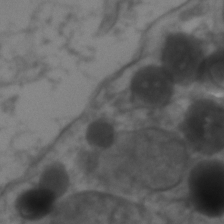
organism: Zebrafish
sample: Zebrafish embryo